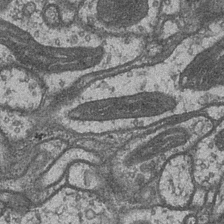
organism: Drosophila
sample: Optic medulla